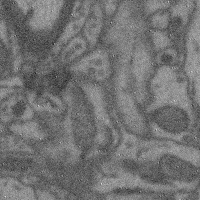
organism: Mouse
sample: Cerebral cortex